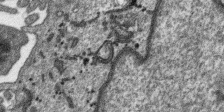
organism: Human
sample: Lung epithelial cells infected with SARS-CoV-2